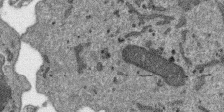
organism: Human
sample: Lung epithelial cells infected with SARS-CoV-2